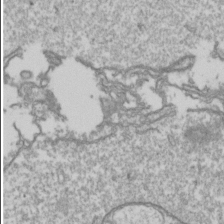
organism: Drosophila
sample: Cell division; meiosis; drosophila spermatocytes